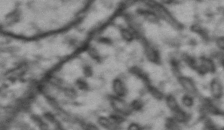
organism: Drosophila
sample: Brain